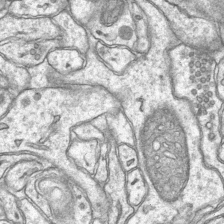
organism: Mouse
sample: CA1 Hippocampus